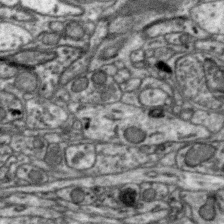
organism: Zebra finch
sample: Brain